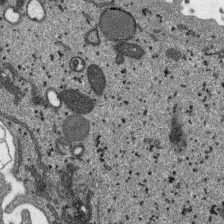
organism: Human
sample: Lung epithelial cells infected with SARS-CoV-2